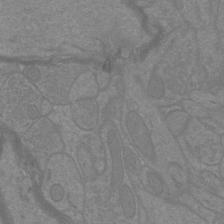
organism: Mouse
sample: Cortical neurons